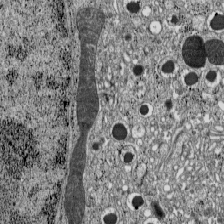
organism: C57BL Mouse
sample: Pancreatic islet